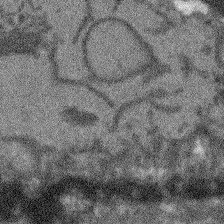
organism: Arabidopsis thaliana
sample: Root tip